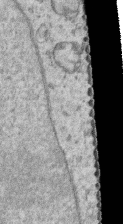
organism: Human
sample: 1205lu cells